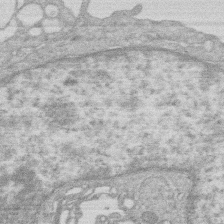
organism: Human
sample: Macrophage cells